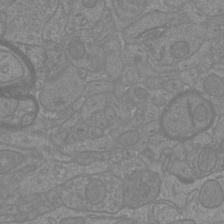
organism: Mouse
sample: Cortical neurons